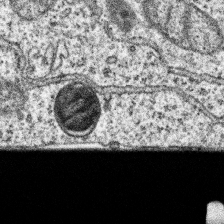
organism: Human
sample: HeLa cells